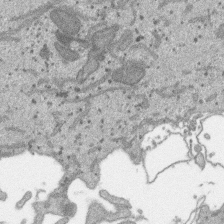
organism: Human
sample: Lung epithelial cells infected with SARS-CoV-2